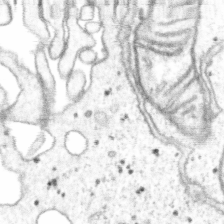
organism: Human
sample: HeLa cells